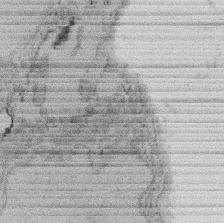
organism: Rat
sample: Salivary granule